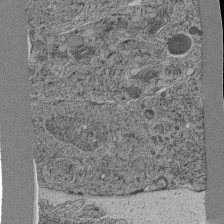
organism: C. elegans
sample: C. elegans pharynx